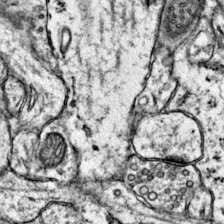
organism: Mouse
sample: Primary visual cortex